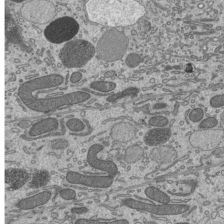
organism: Mouse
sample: Mouse epididymis efferent ductule cilia